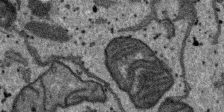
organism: Human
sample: Lung epithelial cells, uninfected (mock) control